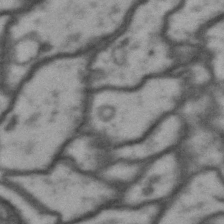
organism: Drosophila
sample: Brain